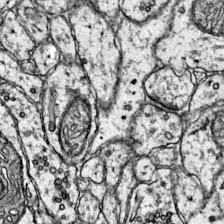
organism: Mouse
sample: Primary visual cortex